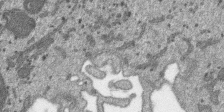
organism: Human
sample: Lung epithelial cells infected with SARS-CoV-2